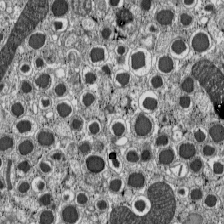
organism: C57BL Mouse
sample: Pancreatic islet